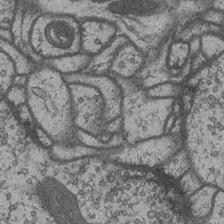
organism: Drosophila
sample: Optic medulla